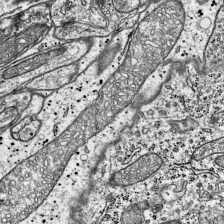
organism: Mouse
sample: Visual Cortex